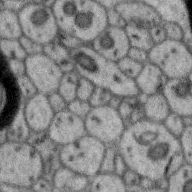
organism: Zebra finch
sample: Brain